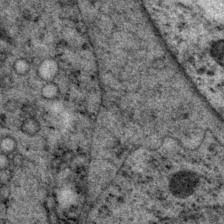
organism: P. pacificus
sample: Pharynx